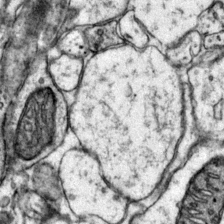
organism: Mouse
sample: Primary visual cortex